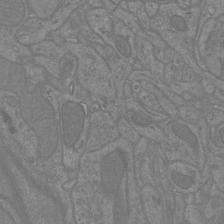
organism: Mouse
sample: Cortical neurons